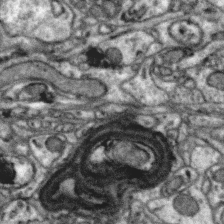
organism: Zebra finch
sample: Brain